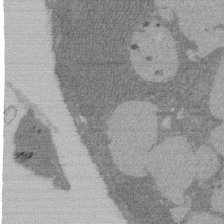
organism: Rat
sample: Salivary granule